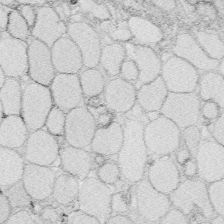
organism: Zebrafish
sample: Whole-Brain